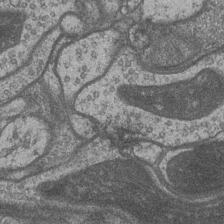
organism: Drosophila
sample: Optic medulla